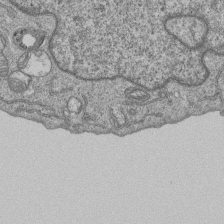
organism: Human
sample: MDA-MB-231 cells